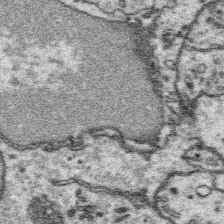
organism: Platynereis dumerilii